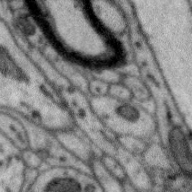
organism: Zebra finch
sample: Brain